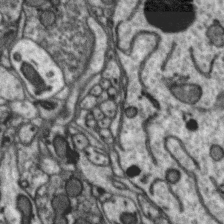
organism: Zebra finch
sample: Brain